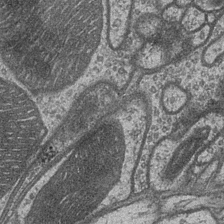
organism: Drosophila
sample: Optic medulla